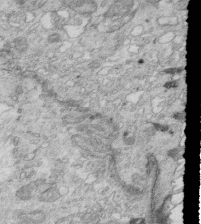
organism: Mouse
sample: Multiciliated cells